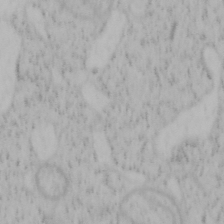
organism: Mouse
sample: OT-I killer T cells with ID8 ovarian cancer cells